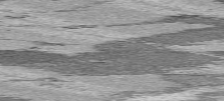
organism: C57BL Mouse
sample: Heart